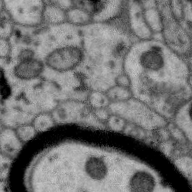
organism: Zebra finch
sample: Brain